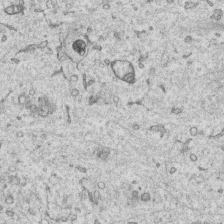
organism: Human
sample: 1205lu cells